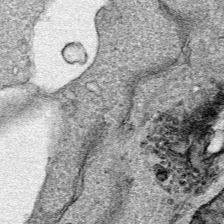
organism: Human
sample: Mitochondria in HCT116 cells